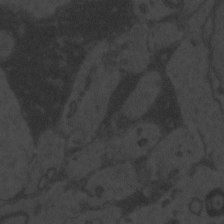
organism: Zebrafish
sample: Macrophage infected with Toxoplasma gondii